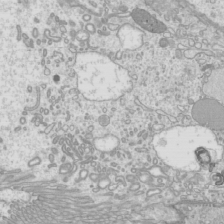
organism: Mouse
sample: Cilia; mouse epididymis